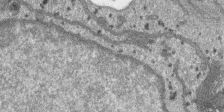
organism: Human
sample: Lung epithelial cells infected with SARS-CoV-2